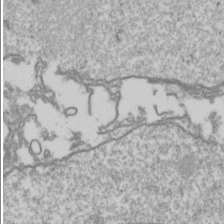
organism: Drosophila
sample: Cell division; meiosis; drosophila spermatocytes